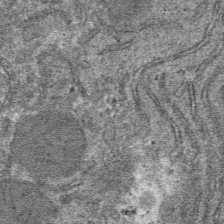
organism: Mouse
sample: Mouse hepatocytes